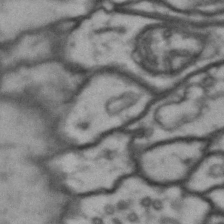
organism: Drosophila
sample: Brain